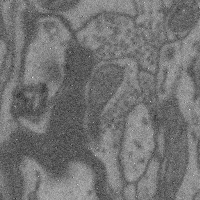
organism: Mouse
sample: Cerebral cortex